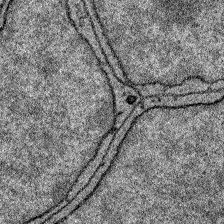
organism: Zebrafish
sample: Larval olfactory bulb